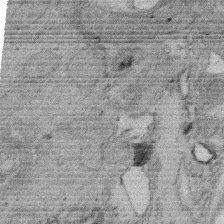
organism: Rat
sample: Salivary granule